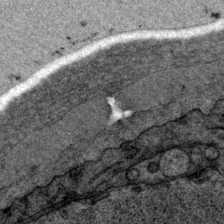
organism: P. pacificus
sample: Pharynx